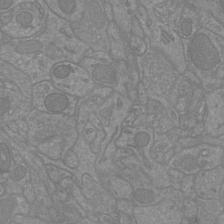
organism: Mouse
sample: Cortical neurons